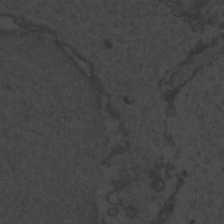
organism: Zebrafish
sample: Macrophage infected with Toxoplasma gondii